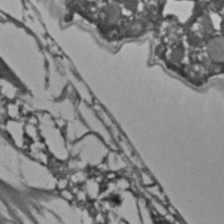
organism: C. elegans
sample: C. elegans embryo